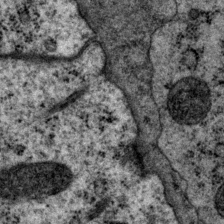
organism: P. pacificus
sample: Pharynx